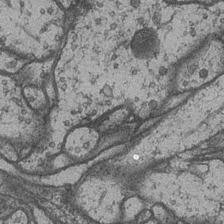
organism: Drosophila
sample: Optic medulla